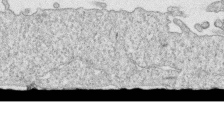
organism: Human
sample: HeLa cell HIV synapse